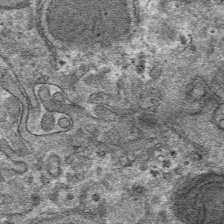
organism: Mouse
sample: Mouse hepatocytes